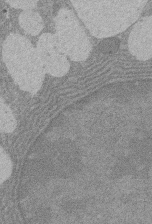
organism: Rat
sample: Salivary granule